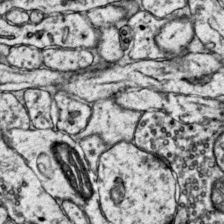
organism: Mouse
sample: Primary visual cortex